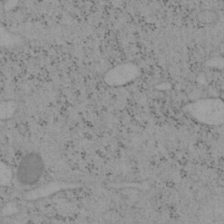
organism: Mouse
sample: OT-I killer T cells with ID8 ovarian cancer cells